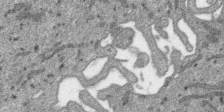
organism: Human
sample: Lung epithelial cells infected with SARS-CoV-2